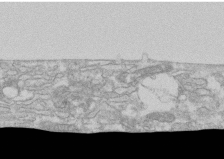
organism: Human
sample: CRL-1474